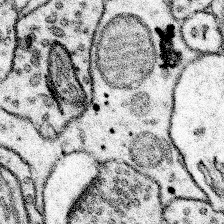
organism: Mouse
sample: Somatosensory cortex neuropil